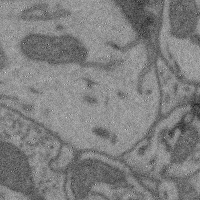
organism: Mouse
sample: Cerebral cortex